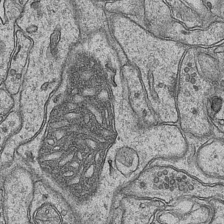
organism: Mouse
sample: CA1 Hippocampus